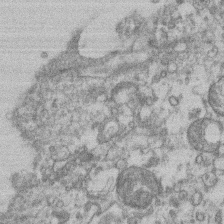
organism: Mouse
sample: T cell stromal cell synapse